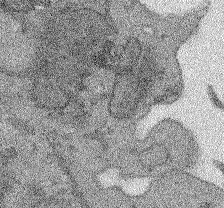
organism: Human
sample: HeLa cells